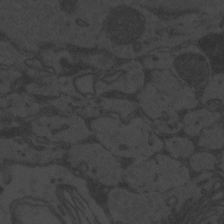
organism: Zebrafish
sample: Macrophage infected with Toxoplasma gondii